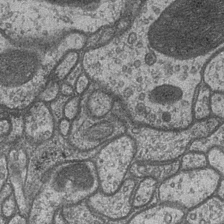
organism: Drosophila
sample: Optic medulla